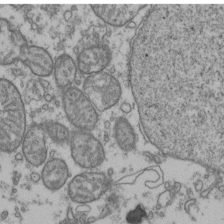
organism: Human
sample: Activated Jurkat CD4+ T cells